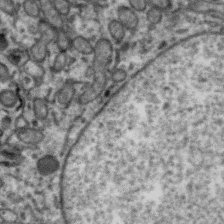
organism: Zebra finch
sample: Brain